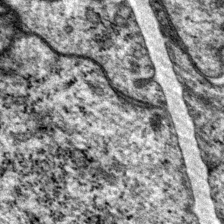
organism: P. pacificus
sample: Pharynx